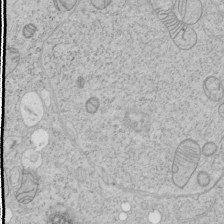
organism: Human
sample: Mitochondria in HCT116 cells